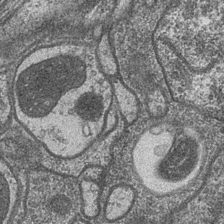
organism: Drosophila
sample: Optic medulla